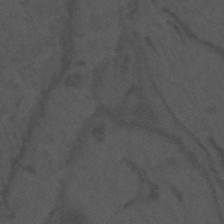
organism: Mouse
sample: Suprachiasmatic nucleus